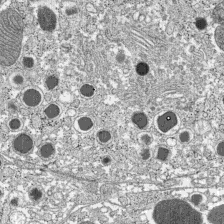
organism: C57BL Mouse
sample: Pancreatic islet